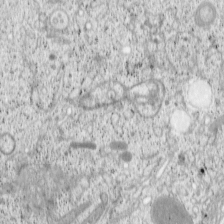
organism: African green monkey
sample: COS-7 cells